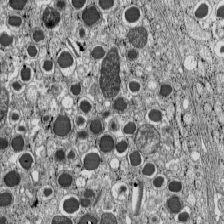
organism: C57BL Mouse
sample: Pancreatic islet